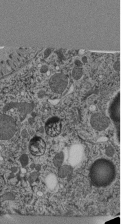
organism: C. elegans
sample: C. elegans pharynx